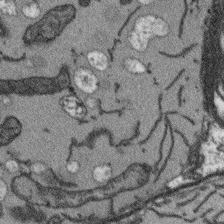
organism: Arabidopsis thaliana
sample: Root tip